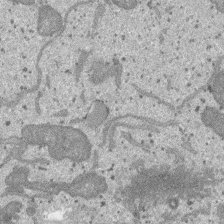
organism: Human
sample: Lung epithelial cells infected with SARS-CoV-2